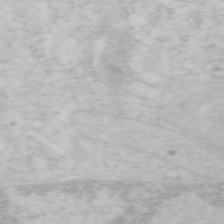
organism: Mouse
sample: OT-I killer T cells with ID8 ovarian cancer cells